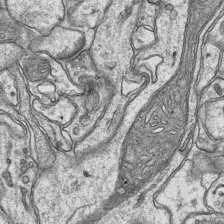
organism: Mouse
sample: CA1 Hippocampus